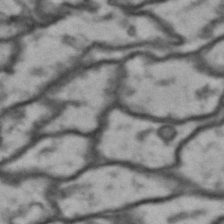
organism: Drosophila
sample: Brain